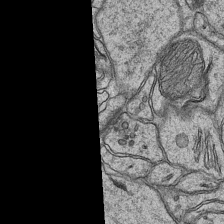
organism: Mouse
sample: CA1 Hippocampus